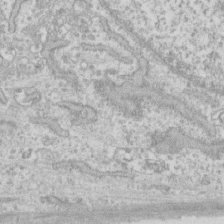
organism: Human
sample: Fibroblast cells